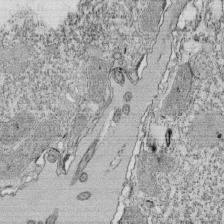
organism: Tetrahymena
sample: Cilia in tetrahymena